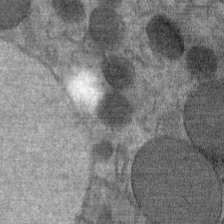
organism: Mouse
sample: Mouse Salivary gland